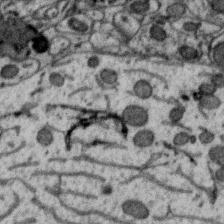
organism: Zebra finch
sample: Brain